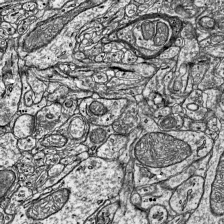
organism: Mouse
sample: Visual Cortex